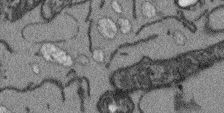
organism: Arabidopsis thaliana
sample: Root tip